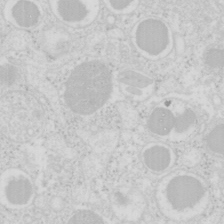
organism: Mouse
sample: Pancreas